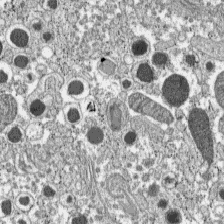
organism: C57BL Mouse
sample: Pancreatic islet